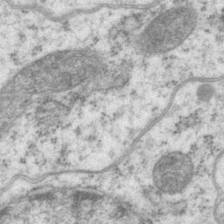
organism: P. pacificus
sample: Pharynx